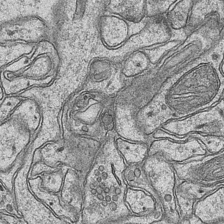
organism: Mouse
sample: CA1 Hippocampus